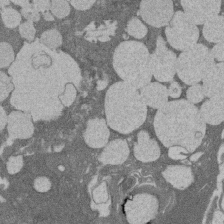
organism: Rat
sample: Salivary granule